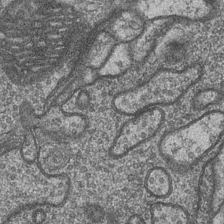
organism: Drosophila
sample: Optic medulla